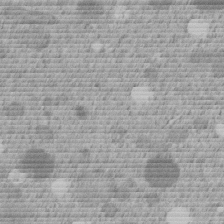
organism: C. elegans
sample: C. elegans embryo early stage